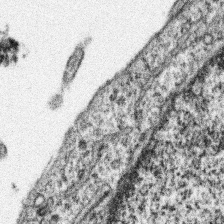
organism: Human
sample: HeLa cells